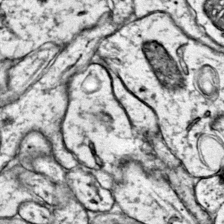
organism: Mouse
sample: Primary visual cortex